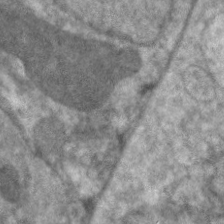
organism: C. elegans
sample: Pharynx